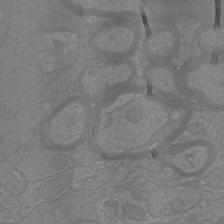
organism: Mouse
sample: Cortical neurons